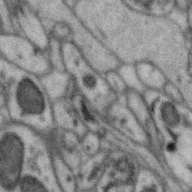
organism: Zebra finch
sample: Brain